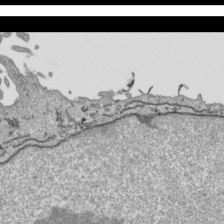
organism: Human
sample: Mitochondria in HCT116 cells